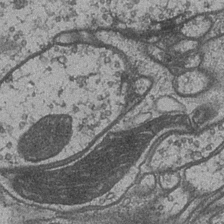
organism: Drosophila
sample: Optic medulla